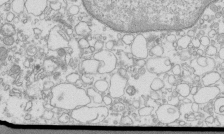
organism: Mouse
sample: Macrophages